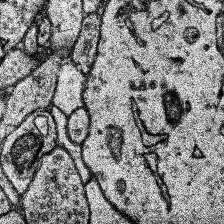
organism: Human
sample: Temporal Lobe